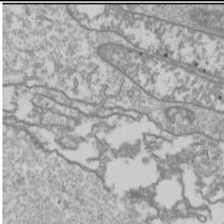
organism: Drosophila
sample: Cell division; meiosis; drosophila spermatocytes